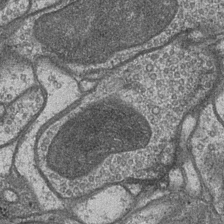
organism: Drosophila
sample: Optic medulla